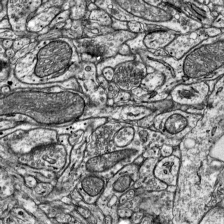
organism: Mouse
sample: Visual Cortex